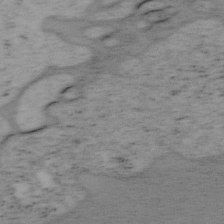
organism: Mouse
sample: OT-I killer T cells with ID8 ovarian cancer cells